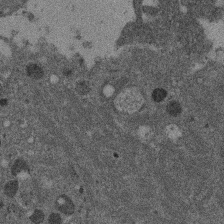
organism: Mouse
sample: Dividing mouse embryo 1 cell stage